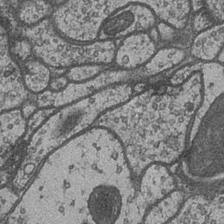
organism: Drosophila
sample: Optic medulla